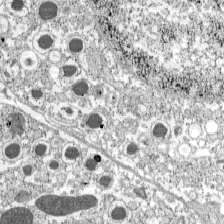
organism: C57BL Mouse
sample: Pancreatic islet